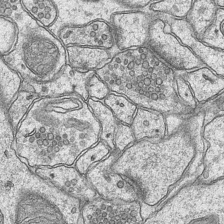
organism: Mouse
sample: CA1 Hippocampus